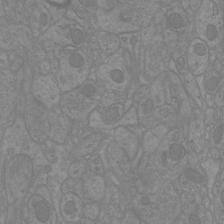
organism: Mouse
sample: Cortical neurons